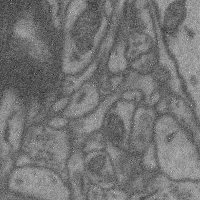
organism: Mouse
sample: Cerebral cortex